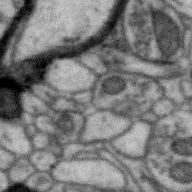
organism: Zebra finch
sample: Brain